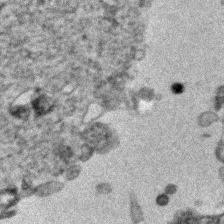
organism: Human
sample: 1205lu cells